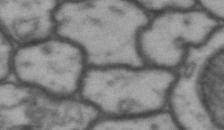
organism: Drosophila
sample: Brain